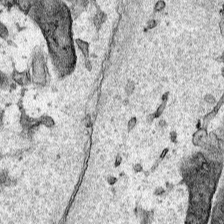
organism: Human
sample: Mitochondria in HCT116 cells